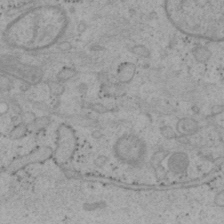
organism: Human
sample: HeLa cells